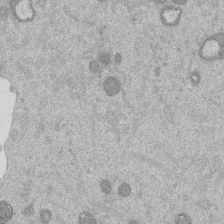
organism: Mouse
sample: Dividing mouse embryo 1 cell stage